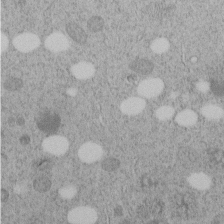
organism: C. elegans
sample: C. elegans embryo early stage